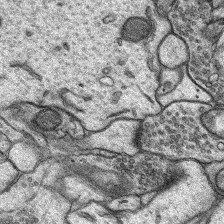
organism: Rat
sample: Hippocampus